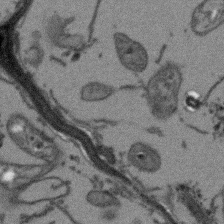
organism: Arabidopsis thaliana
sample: Root tip